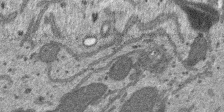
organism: Human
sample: Lung epithelial cells infected with SARS-CoV-2